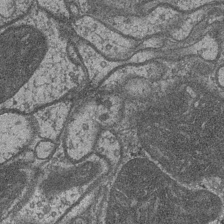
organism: Drosophila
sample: Optic medulla